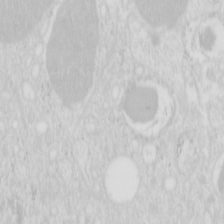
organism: Mouse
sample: Pancreas